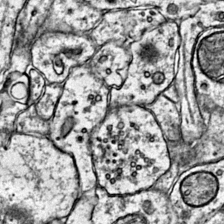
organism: Mouse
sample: Primary visual cortex